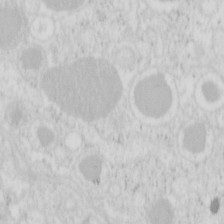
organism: Mouse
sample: Pancreas